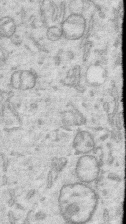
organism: Human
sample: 1205lu cells